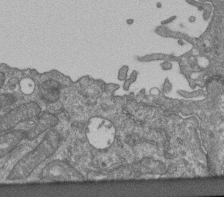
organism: Human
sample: Retinal organoid Rod and Cone cells